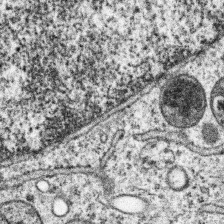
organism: Human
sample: HeLa cells